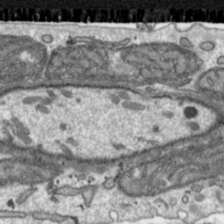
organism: Toxoplasma gondii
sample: Parasites in a vacuole inside a host cell